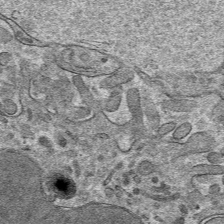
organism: Mouse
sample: Mouse hepatocytes